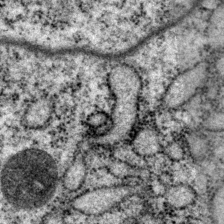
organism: P. pacificus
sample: Pharynx